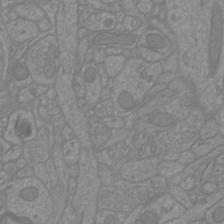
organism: Mouse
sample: Cortical neurons